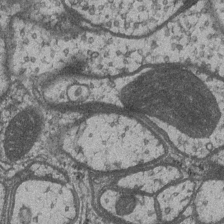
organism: Drosophila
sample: Optic medulla